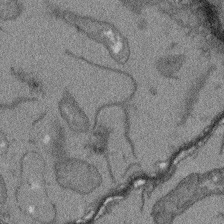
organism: Arabidopsis thaliana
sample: Root tip